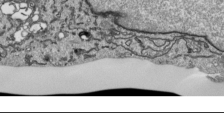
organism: Human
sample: Mitochondria in HCT116 cells